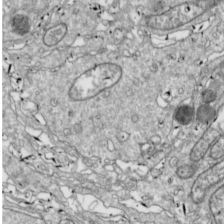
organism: Drosophila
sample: Cell division; meiosis; drosophila spermatocytes